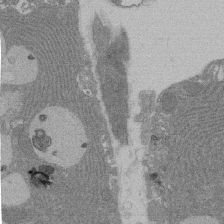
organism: Rat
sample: Salivary granule